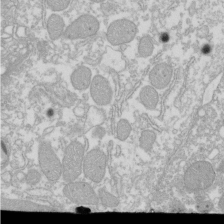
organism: Xenopus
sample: Cilia; centrioles in frog embryo cells